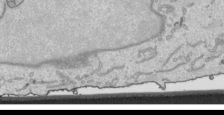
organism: Human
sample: Mitochondria in HCT116 cells